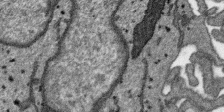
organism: Human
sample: Lung epithelial cells, uninfected (mock) control